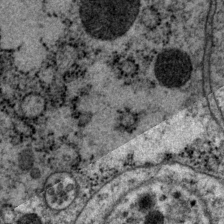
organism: P. pacificus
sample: Pharynx